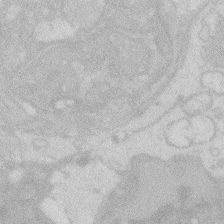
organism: Zebrafish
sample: Macrophage